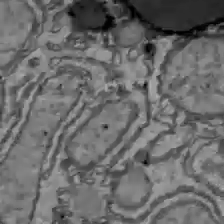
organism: C57BL Mouse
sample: Liver